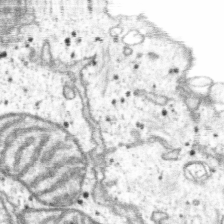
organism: Human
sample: HeLa cells